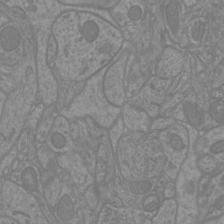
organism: Mouse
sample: Cortical neurons